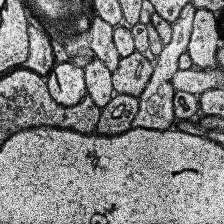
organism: Human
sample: Temporal Lobe